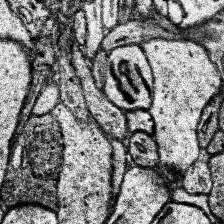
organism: Human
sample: Temporal Lobe